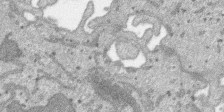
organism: Human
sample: Lung epithelial cells infected with SARS-CoV-2